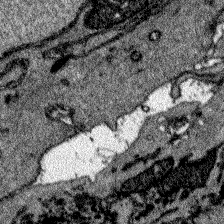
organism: Zebrafish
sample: Larval olfactory bulb